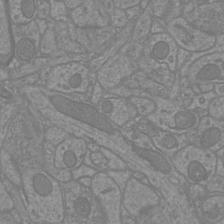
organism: Mouse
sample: Cortical neurons